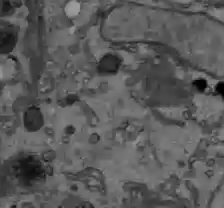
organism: C57BL Mouse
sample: Liver